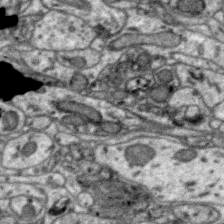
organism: Zebra finch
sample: Brain